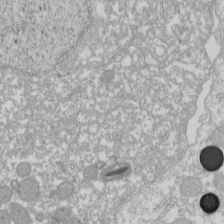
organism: Xenopus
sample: Cilia; centrioles in frog embryo cells